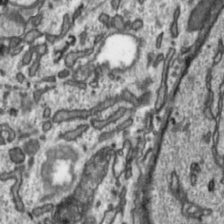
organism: Toxoplasma gondii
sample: Parasites in a vacuole inside a host cell